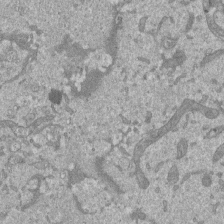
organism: Mouse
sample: ED-1 cell nuclei; centrioles